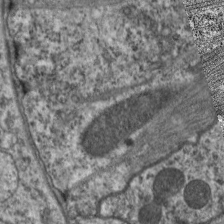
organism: C. elegans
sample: Pharynx